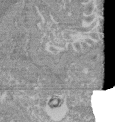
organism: Mouse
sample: Glomerulus